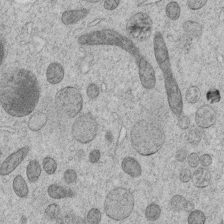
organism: C. elegans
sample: C. elegans embryo early stage